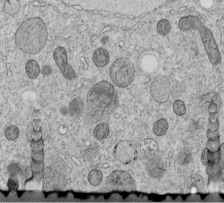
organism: C. elegans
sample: C. elegans embryo early stage